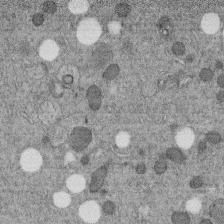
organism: C. elegans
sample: C. elegans embryo early stage